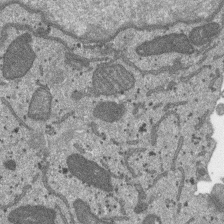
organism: Human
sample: Lung epithelial cells infected with SARS-CoV-2